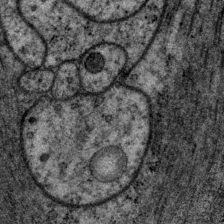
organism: P. pacificus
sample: Pharynx